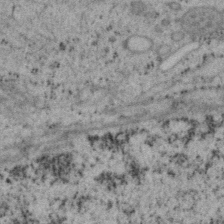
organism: Human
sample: HeLa cells